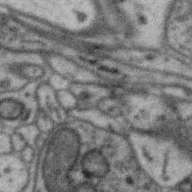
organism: Zebra finch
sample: Brain